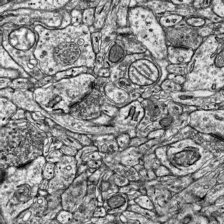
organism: Mouse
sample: Visual Cortex